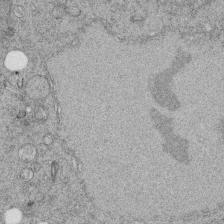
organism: C. elegans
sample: C. elegans embryo early stage